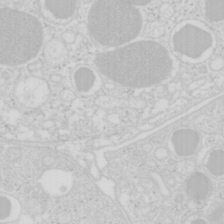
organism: Mouse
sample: Pancreas